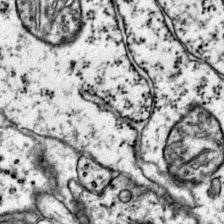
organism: Mouse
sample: Primary visual cortex